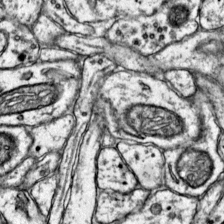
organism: Mouse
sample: Primary visual cortex